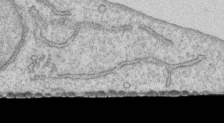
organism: Human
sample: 1205lu cells